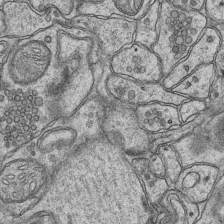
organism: Mouse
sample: CA1 Hippocampus